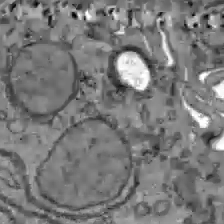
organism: C57BL Mouse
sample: Liver